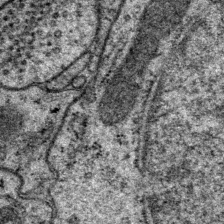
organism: P. pacificus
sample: Pharynx